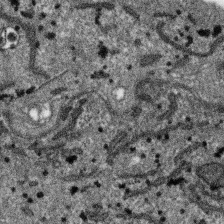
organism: Human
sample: Lung epithelial cells infected with SARS-CoV-2